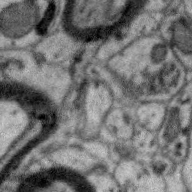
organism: Zebra finch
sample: Brain